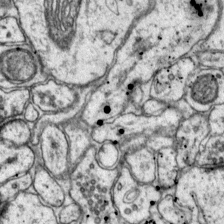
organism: Mouse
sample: Primary visual cortex